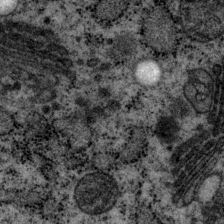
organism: P. pacificus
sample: Pharynx